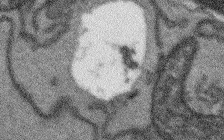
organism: Arabidopsis thaliana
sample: Root tip